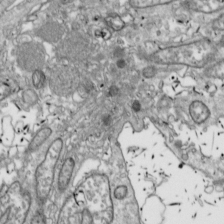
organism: Drosophila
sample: Cell division; meiosis; drosophila spermatocytes